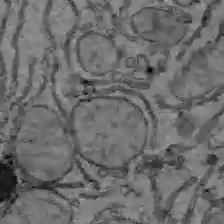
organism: C57BL Mouse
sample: Liver